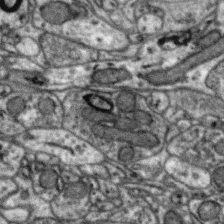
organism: Zebra finch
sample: Brain